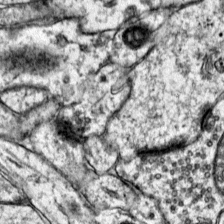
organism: Mouse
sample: Primary visual cortex